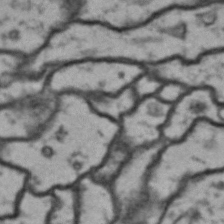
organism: Drosophila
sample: Brain